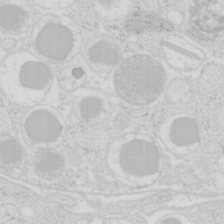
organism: Mouse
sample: Pancreas